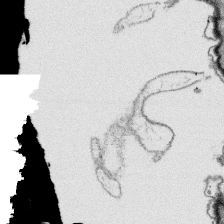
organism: Platynereis dumerilii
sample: Parapodia